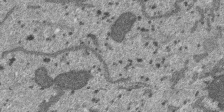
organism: Human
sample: Lung epithelial cells infected with SARS-CoV-2